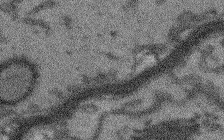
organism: Arabidopsis thaliana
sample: Root tip